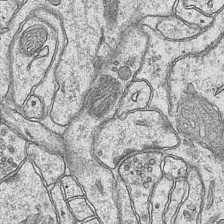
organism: Mouse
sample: CA1 Hippocampus